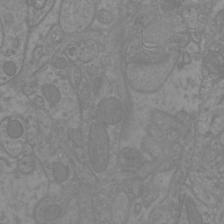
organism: Mouse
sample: Cortical neurons